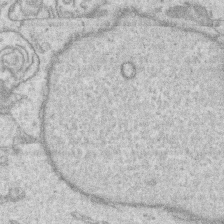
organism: Human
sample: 1205lu cells